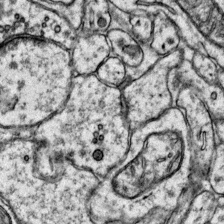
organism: Mouse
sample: Primary visual cortex